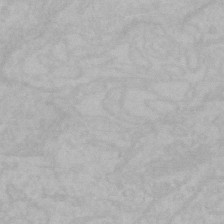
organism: Mouse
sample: Choroid plexus